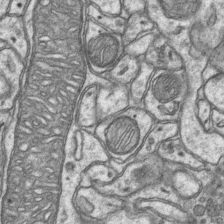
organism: Mouse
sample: CA1 Hippocampus